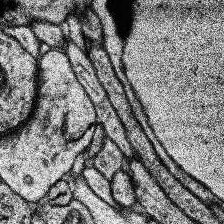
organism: Human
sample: Temporal Lobe